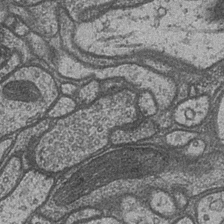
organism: Drosophila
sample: Optic medulla